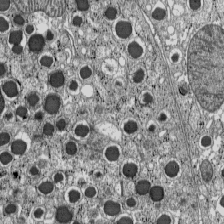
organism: C57BL Mouse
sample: Pancreatic islet